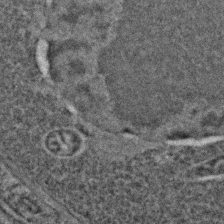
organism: C. elegans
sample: C. elegans embryo